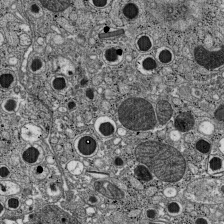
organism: C57BL Mouse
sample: Pancreatic islet